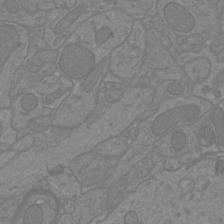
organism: Mouse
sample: Cortical neurons